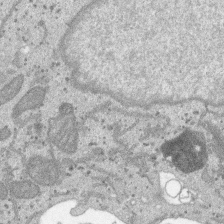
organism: Human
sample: Lung epithelial cells infected with SARS-CoV-2